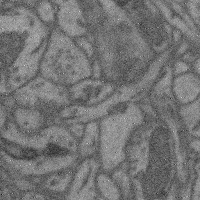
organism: Mouse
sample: Cerebral cortex